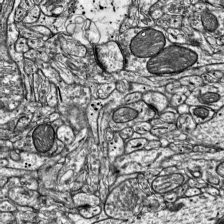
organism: Mouse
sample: Visual Cortex